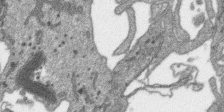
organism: Human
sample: Lung epithelial cells infected with SARS-CoV-2